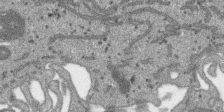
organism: Human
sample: Lung epithelial cells infected with SARS-CoV-2